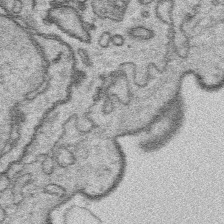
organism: Platynereis dumerilii